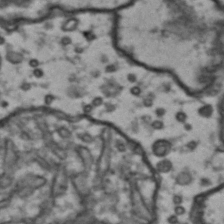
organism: Drosophila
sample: Brain